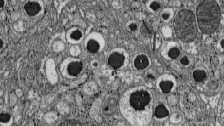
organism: C57BL Mouse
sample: Pancreatic islet